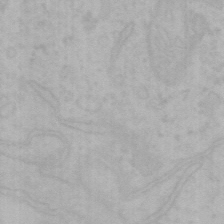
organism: Mouse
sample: Choroid plexus